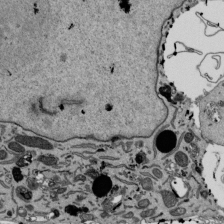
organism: Mouse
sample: ED-1 cell nuclei; centrioles